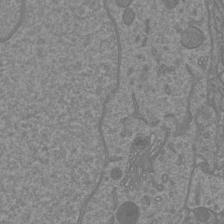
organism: Mouse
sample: Cortical neurons